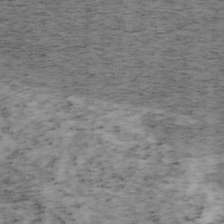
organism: Mouse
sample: OT-I killer T cells with ID8 ovarian cancer cells